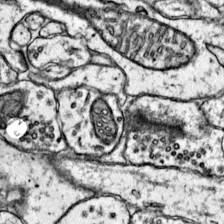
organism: Mouse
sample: Primary visual cortex